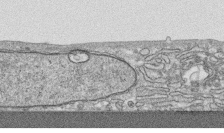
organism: Human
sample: CRL-1474